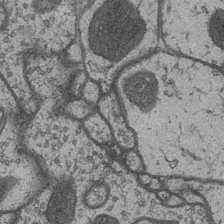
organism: Drosophila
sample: Optic medulla